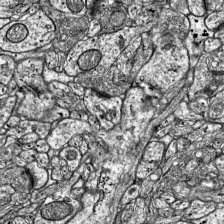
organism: Mouse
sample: Visual Cortex